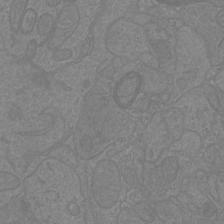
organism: Mouse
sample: Cortical neurons